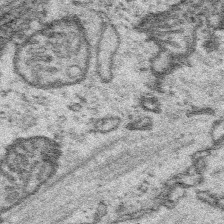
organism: Platynereis dumerilii